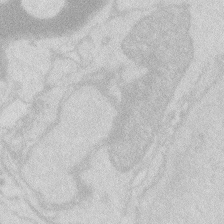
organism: Zebrafish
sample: Macrophage